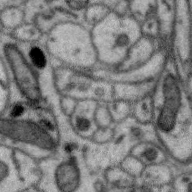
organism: Zebra finch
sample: Brain